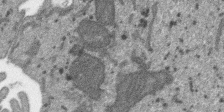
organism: Human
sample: Lung epithelial cells infected with SARS-CoV-2